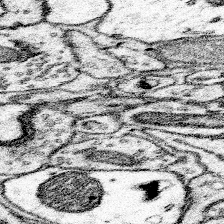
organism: Mouse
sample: Somatosensory cortex neuropil